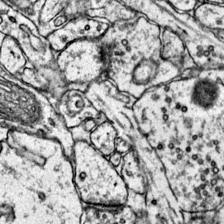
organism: Mouse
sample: Primary visual cortex